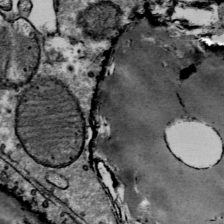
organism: Mouse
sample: Mouse Salivary gland